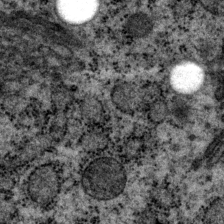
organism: P. pacificus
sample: Pharynx